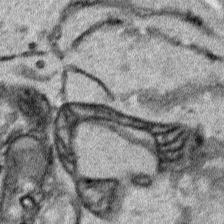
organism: Human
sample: Mitochondria in HCT116 cells